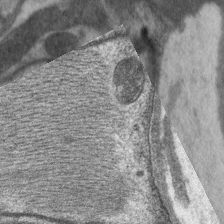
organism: C. elegans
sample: Pharynx